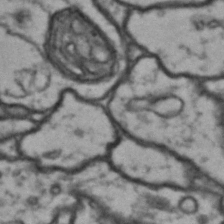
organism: Drosophila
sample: Brain